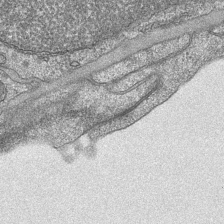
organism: Mouse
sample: CA1 Hippocampus